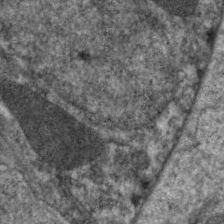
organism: C. elegans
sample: Pharynx